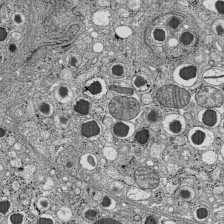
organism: C57BL Mouse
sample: Pancreatic islet